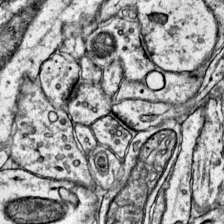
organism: Mouse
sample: Primary visual cortex